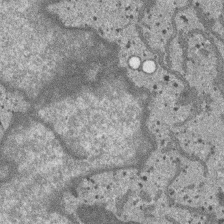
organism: Human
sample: Lung epithelial cells infected with SARS-CoV-2